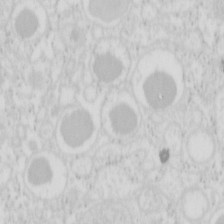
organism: Mouse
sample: Pancreas